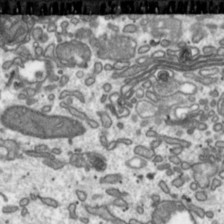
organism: Toxoplasma gondii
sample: Parasites in a vacuole inside a host cell